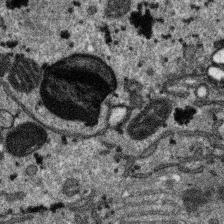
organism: Human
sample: Lung epithelial cells infected with SARS-CoV-2